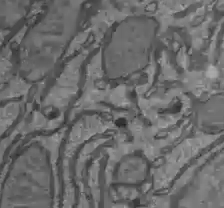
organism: C57BL Mouse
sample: Liver